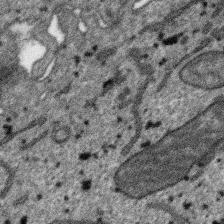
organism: Human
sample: Lung epithelial cells infected with SARS-CoV-2